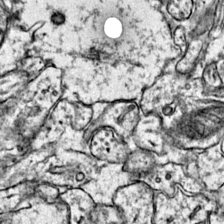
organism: Mouse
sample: Primary visual cortex